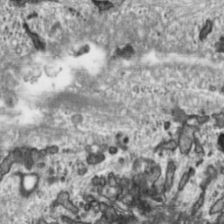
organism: Toxoplasma gondii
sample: Parasites in a vacuole inside a host cell